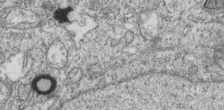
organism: Human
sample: HeLa cell HIV synapse